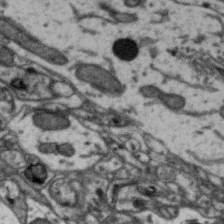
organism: Zebra finch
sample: Brain